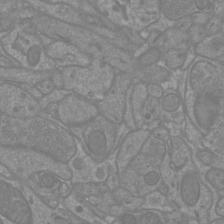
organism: Mouse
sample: Cortical neurons